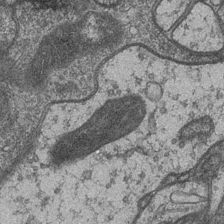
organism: Drosophila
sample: Optic medulla